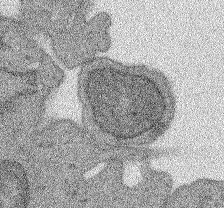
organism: Human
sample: HeLa cells